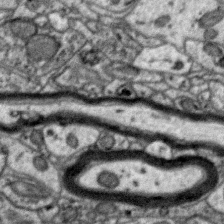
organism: Zebra finch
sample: Brain